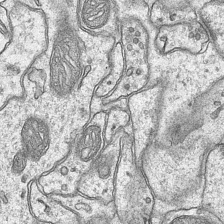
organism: Mouse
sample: CA1 Hippocampus